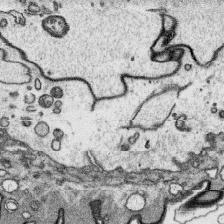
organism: Platynereis dumerilii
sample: Parapodia